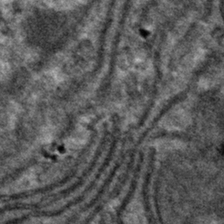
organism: Mouse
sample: Mouse hepatocytes